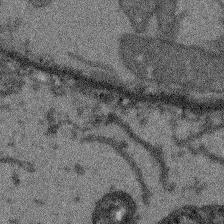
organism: Arabidopsis thaliana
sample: Root tip